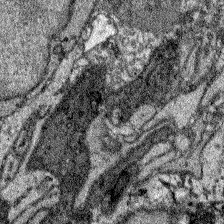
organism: Zebrafish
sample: Larval olfactory bulb